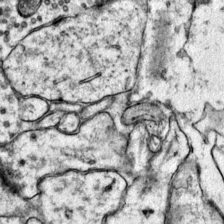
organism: Mouse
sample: Primary visual cortex